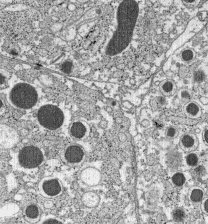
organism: C57BL Mouse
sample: Pancreatic islet